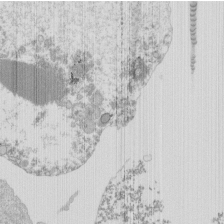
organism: Mouse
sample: Activated Pmel transgenic CD8+ T Cells